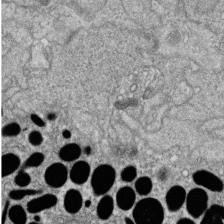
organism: Zebrafish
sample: Cilia; retinal pigment epithelium